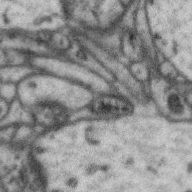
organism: Zebra finch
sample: Brain